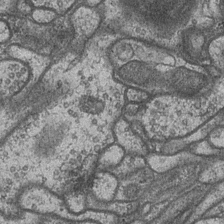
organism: Drosophila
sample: Optic medulla